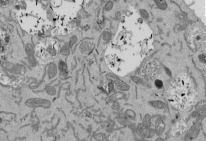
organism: Mouse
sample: ED-1 cell nuclei; centrioles